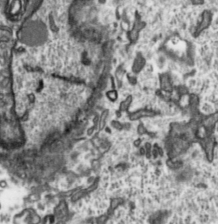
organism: Toxoplasma gondii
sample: Parasites in a vacuole inside a host cell